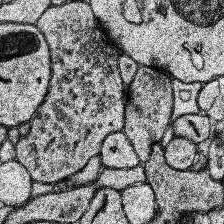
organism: Human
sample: Temporal Lobe